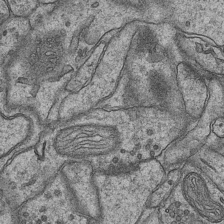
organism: Mouse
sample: CA1 Hippocampus